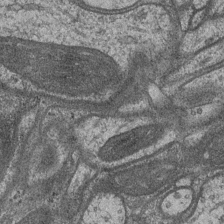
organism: Drosophila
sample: Optic medulla